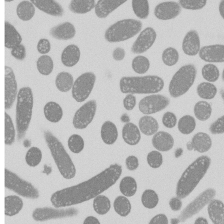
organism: E. coli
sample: Bacterial nucleoid